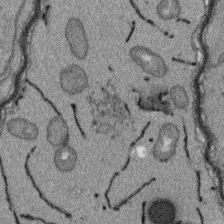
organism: Arabidopsis thaliana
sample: Root tip